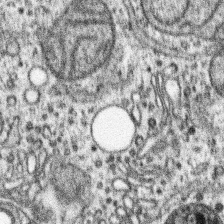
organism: Human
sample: HeLa cells